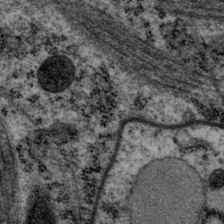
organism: P. pacificus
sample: Pharynx